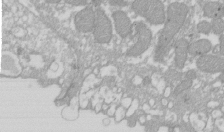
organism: Xenopus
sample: Cilia; centrioles in frog embryo cells